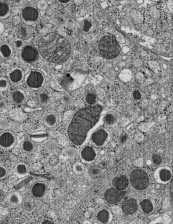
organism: C57BL Mouse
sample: Pancreatic islet